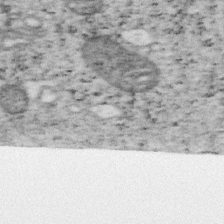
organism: Mouse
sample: OT-I killer T cells with ID8 ovarian cancer cells